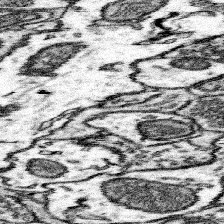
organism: Mouse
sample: Somatosensory cortex neuropil